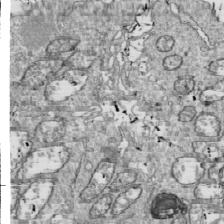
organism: Drosophila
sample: Cell division; meiosis; drosophila spermatocytes